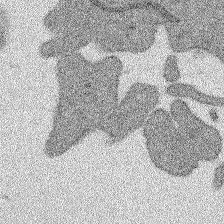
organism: Human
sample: HeLa cells